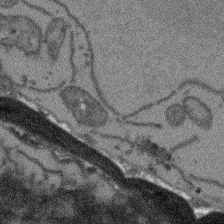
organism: Arabidopsis thaliana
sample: Root tip